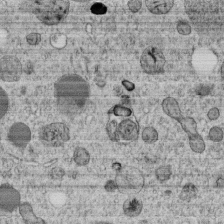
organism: C. elegans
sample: C. elegans embryo early stage